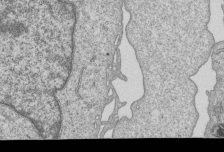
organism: Human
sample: MDA-MB-231 cells